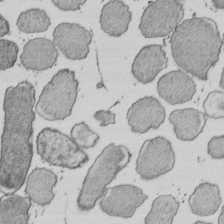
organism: E. coli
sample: Bacterial nucleoid